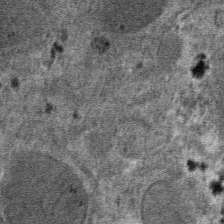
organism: Mouse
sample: Mouse hepatocytes